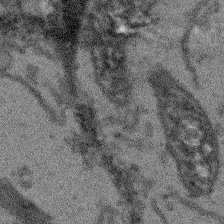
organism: Arabidopsis thaliana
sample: Root tip